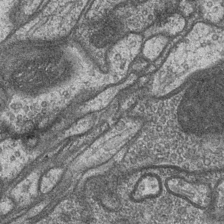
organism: Drosophila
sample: Optic medulla